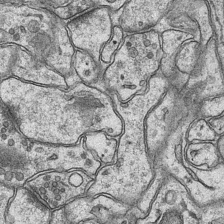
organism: Mouse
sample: CA1 Hippocampus